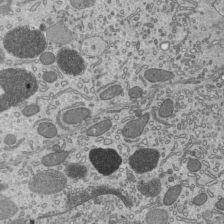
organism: Mouse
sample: Mouse epididymis efferent ductule cilia